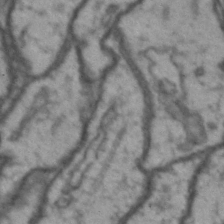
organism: Drosophila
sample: Brain